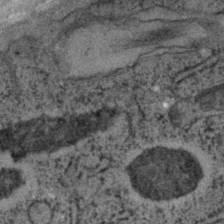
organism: C. elegans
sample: C. elegans embryo